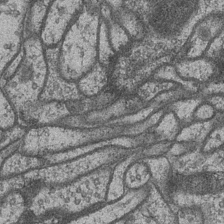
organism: Drosophila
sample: Optic medulla